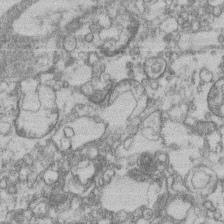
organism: Mouse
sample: T cell stromal cell synapse